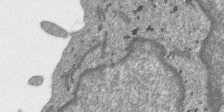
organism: Human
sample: Lung epithelial cells infected with SARS-CoV-2